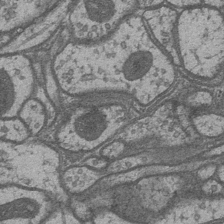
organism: Drosophila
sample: Optic medulla